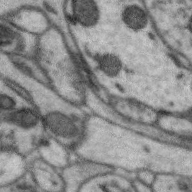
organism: Zebra finch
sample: Brain